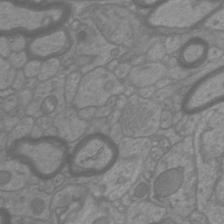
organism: Mouse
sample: Cortical neurons